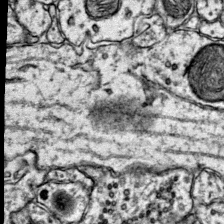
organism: Mouse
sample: Primary visual cortex